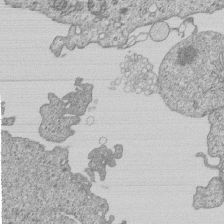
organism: Human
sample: MDA-MB-231 cells